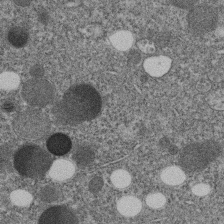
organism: C. elegans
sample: C. elegans embryo early stage